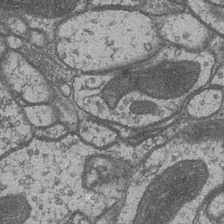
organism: Drosophila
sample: Optic medulla